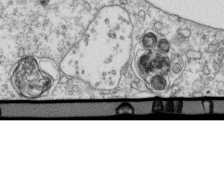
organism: Mouse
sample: Activated OT-1 CD8+ T cells